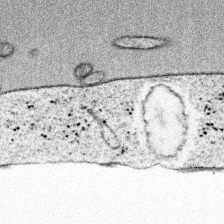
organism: Human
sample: HeLa cells